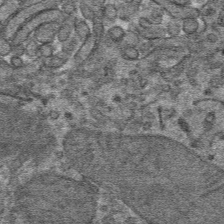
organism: Mouse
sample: Mouse hepatocytes